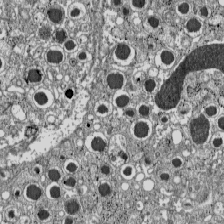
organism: C57BL Mouse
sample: Pancreatic islet